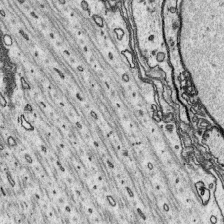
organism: Platynereis dumerilii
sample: Parapodia